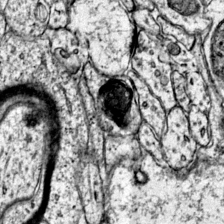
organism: Mouse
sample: Primary visual cortex